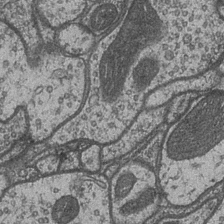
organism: Drosophila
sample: Optic medulla